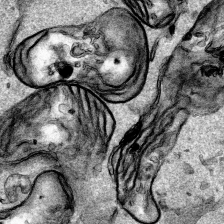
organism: Human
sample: Mitochondria in HCT116 cells